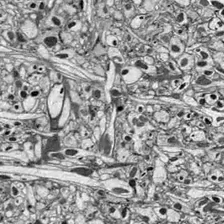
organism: Drosophila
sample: Optic lobe